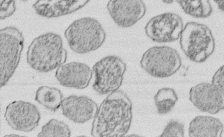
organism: E. coli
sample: Bacterial nucleoid